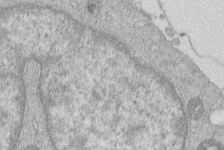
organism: Human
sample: Macrophage cells